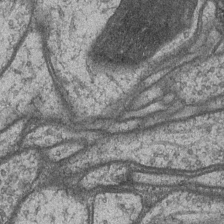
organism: Drosophila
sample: Optic medulla